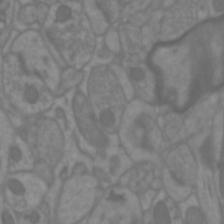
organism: Mouse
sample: Cortical neurons